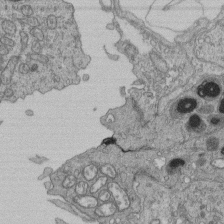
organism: Human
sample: Retinal organoid Rod and Cone cells